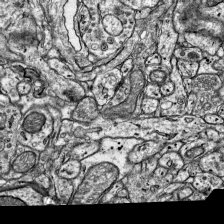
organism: Mouse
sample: Visual Cortex